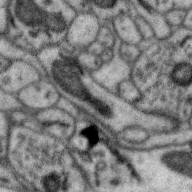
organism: Zebra finch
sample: Brain